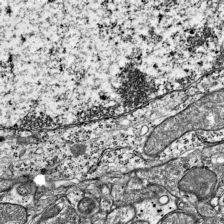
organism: Mouse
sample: Visual Cortex